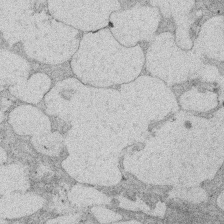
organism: Rat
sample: Salivary granule